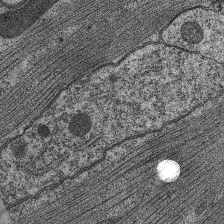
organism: C. elegans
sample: Pharynx